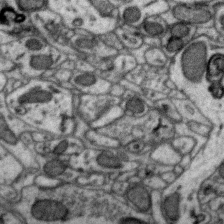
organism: Zebra finch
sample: Brain